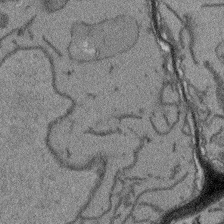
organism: Arabidopsis thaliana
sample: Root tip